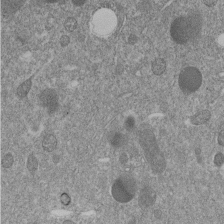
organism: C. elegans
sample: C. elegans embryo early stage